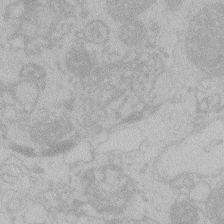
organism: Zebrafish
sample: Macrophage infected with Toxoplasma gondii